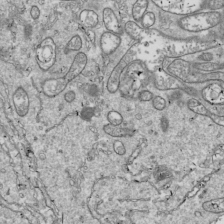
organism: Drosophila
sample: Cell division; meiosis; drosophila spermatocytes